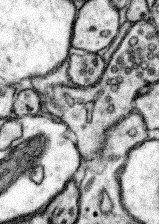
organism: Mouse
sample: Somatosensory cortex neuropil